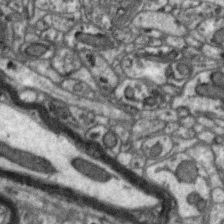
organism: Zebra finch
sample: Brain